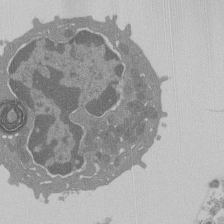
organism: Mouse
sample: Activated Pmel transgenic CD8+ T Cells